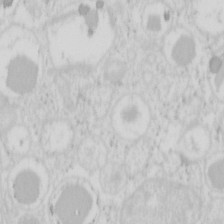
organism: Mouse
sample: Pancreas